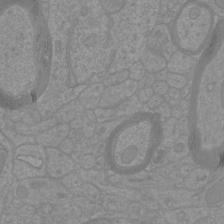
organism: Mouse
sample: Cortical neurons